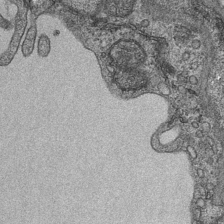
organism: Mouse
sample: CA1 Hippocampus